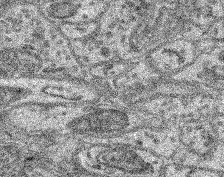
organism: Mouse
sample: Retina